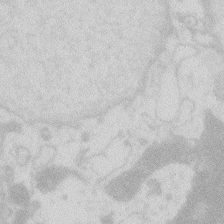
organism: Zebrafish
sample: Macrophage